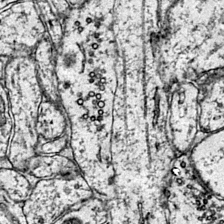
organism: Mouse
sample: Primary visual cortex